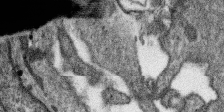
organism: Human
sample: Lung epithelial cells infected with SARS-CoV-2